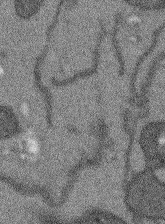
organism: Arabidopsis thaliana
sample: Root tip